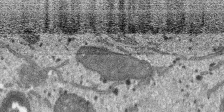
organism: Human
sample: Lung epithelial cells infected with SARS-CoV-2